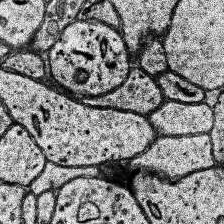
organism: Human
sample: Temporal Lobe